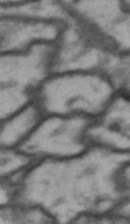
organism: Drosophila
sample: Brain